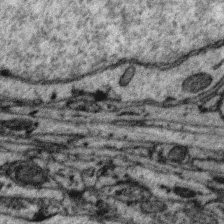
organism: Zebra finch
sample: Brain